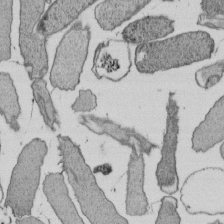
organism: E. coli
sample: Bacterial nucleoid